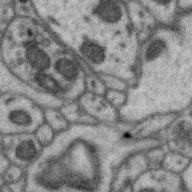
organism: Zebra finch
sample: Brain